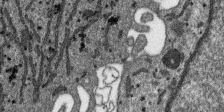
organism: Human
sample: Lung epithelial cells infected with SARS-CoV-2